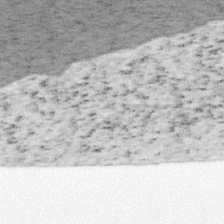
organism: Mouse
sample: OT-I killer T cells with ID8 ovarian cancer cells